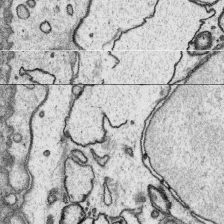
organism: Platynereis dumerilii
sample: Parapodia